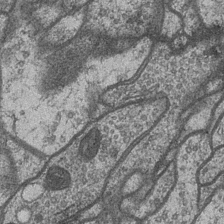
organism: Drosophila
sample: Optic medulla